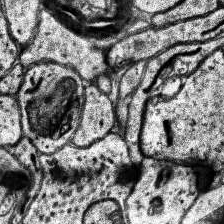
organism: Human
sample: Temporal Lobe